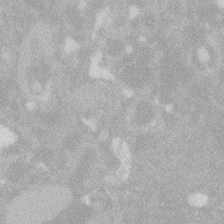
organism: Zebrafish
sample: Macrophage